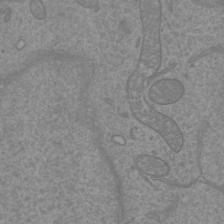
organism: Mouse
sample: Cortical neurons